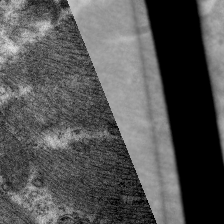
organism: C. elegans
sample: Pharynx